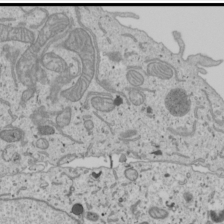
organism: Human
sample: Mitochondria in U2OS cells